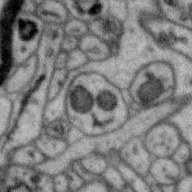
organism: Zebra finch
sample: Brain